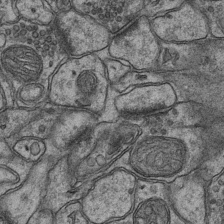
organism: Mouse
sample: CA1 Hippocampus